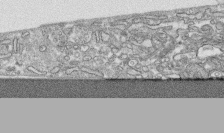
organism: Human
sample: CRL-1474